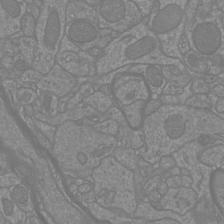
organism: Mouse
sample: Cortical neurons